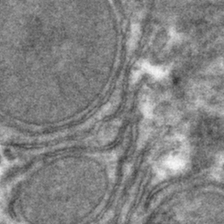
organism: Mouse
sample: Mouse hepatocytes